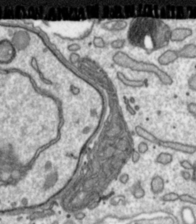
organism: Toxoplasma gondii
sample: Parasites in a vacuole inside a host cell